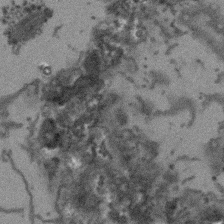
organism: Arabidopsis thaliana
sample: Root tip